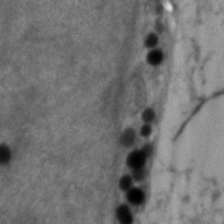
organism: Zebrafish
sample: Zebrafish embryo